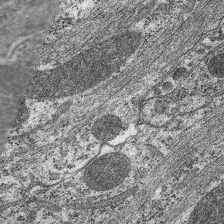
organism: C. elegans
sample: Pharynx